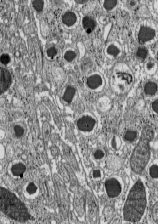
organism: C57BL Mouse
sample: Pancreatic islet